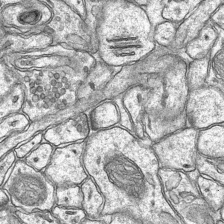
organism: Mouse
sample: CA1 Hippocampus